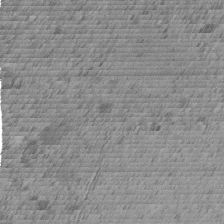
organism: C. elegans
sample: C. elegans embryo early stage